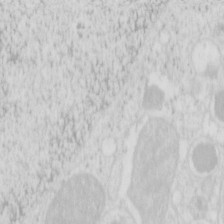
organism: Mouse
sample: Pancreas